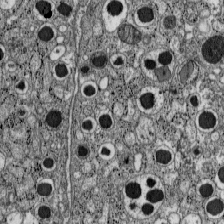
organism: C57BL Mouse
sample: Pancreatic islet